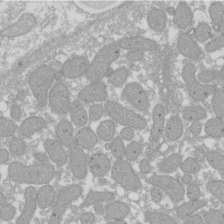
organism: Xenopus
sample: Cilia; centrioles in frog embryo cells